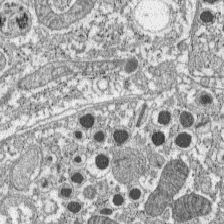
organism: C57BL Mouse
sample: Pancreatic islet